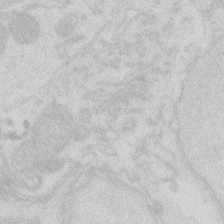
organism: Zebrafish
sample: Macrophage